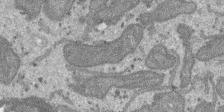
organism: Human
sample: Lung epithelial cells infected with SARS-CoV-2